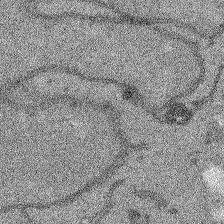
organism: Human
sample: HeLa cells